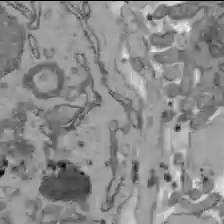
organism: C57BL Mouse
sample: Liver